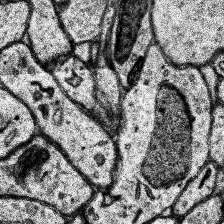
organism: Human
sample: Temporal Lobe